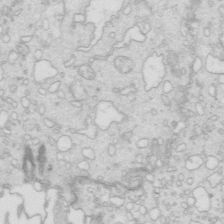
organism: Mouse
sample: Multiciliated cells